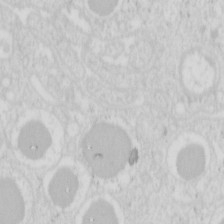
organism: Mouse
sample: Pancreas